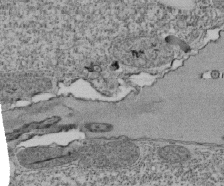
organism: Tetrahymena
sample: Cilia in tetrahymena